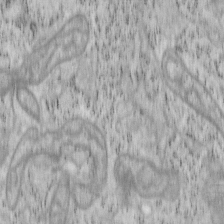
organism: Human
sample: HeLa cells